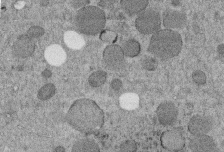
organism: C. elegans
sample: C. elegans embryo early stage